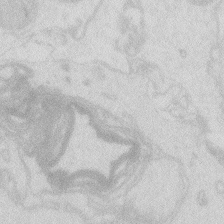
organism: Zebrafish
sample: Macrophage